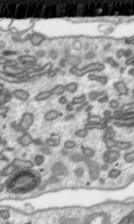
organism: Toxoplasma gondii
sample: Parasites in a vacuole inside a host cell